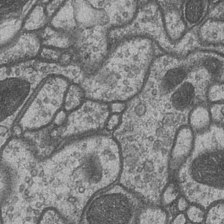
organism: Drosophila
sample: Optic medulla